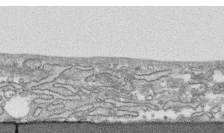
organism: Human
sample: CRL-1474